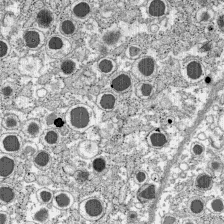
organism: C57BL Mouse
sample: Pancreatic islet